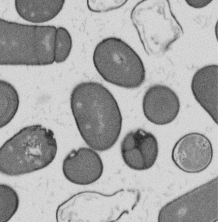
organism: B. subtilis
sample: Bacterial spore